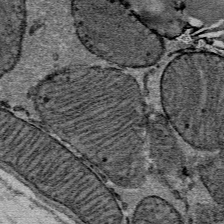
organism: Mouse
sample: Mouse Salivary gland